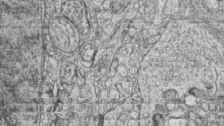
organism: Zebrafish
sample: synaptic ribbons in rod cells and cone cells